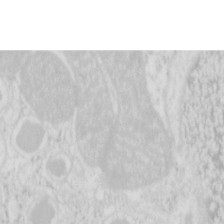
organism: Mouse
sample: Pancreas